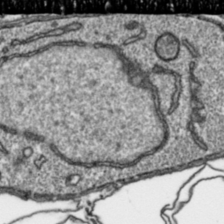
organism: Toxoplasma gondii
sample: Parasites in a vacuole inside a host cell